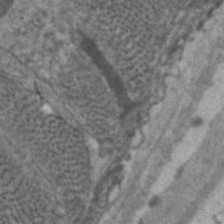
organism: C. elegans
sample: Pharynx